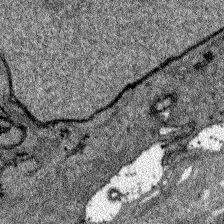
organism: Zebrafish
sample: Larval olfactory bulb